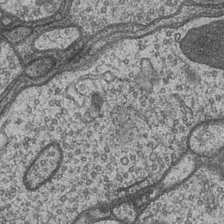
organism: Drosophila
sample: Optic medulla